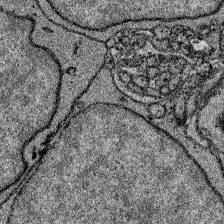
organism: Zebrafish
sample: Larval olfactory bulb